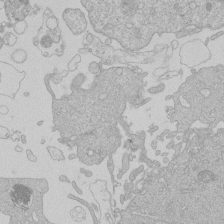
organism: Human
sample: Macrophage cells